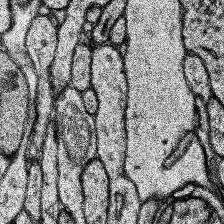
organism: Human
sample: Temporal Lobe